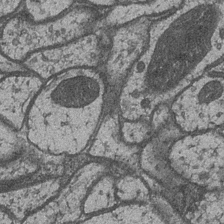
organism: Drosophila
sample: Optic medulla